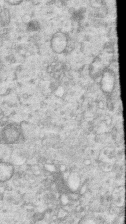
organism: Human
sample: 1205lu cells